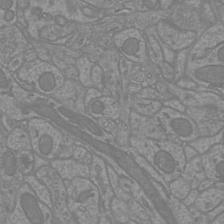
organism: Mouse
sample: Cortical neurons